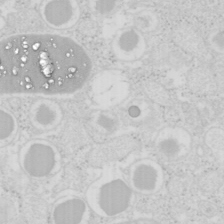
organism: Mouse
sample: Pancreas